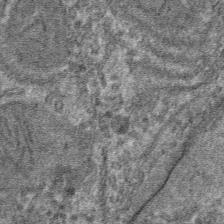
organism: Mouse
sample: Mouse hepatocytes